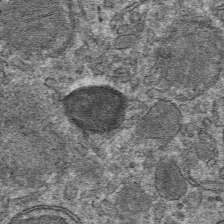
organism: Mouse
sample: Mouse hepatocytes